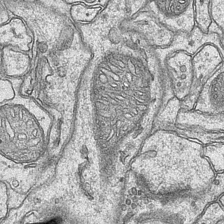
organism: Mouse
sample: CA1 Hippocampus